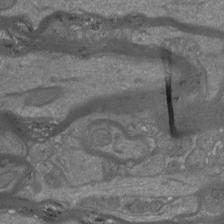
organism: Mouse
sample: Cortical neurons